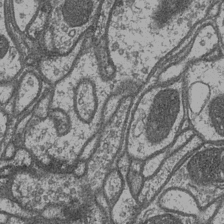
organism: Drosophila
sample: Optic medulla